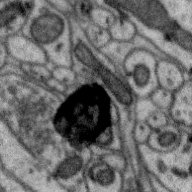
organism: Zebra finch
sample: Brain